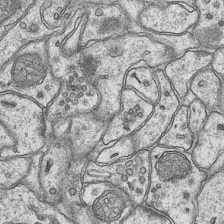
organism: Mouse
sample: CA1 Hippocampus